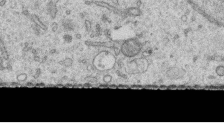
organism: Human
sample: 1205lu cells